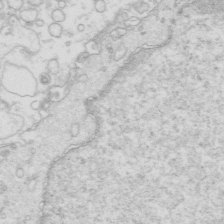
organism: Mouse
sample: Multiciliated cells